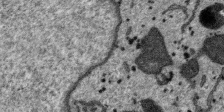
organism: Human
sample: Lung epithelial cells, uninfected (mock) control